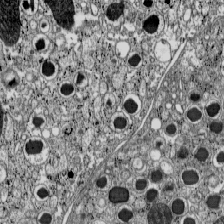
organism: C57BL Mouse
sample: Pancreatic islet